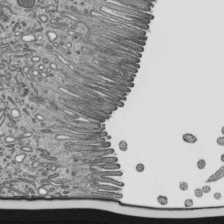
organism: Mouse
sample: Mouse epididymis efferent ductule cilia